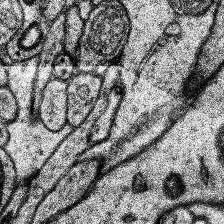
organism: Human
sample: Temporal Lobe